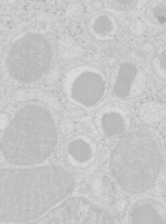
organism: Mouse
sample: Pancreas